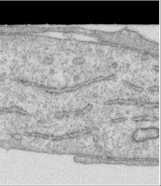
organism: Human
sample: Centriole in RPE cells